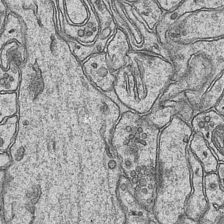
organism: Mouse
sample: CA1 Hippocampus